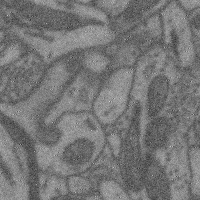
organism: Mouse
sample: Cerebral cortex